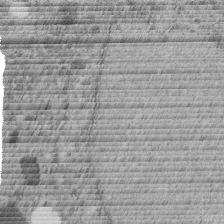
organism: C. elegans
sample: C. elegans embryo early stage